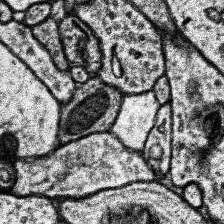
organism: Human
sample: Temporal Lobe